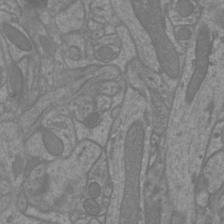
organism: Mouse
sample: Cortical neurons